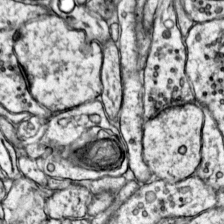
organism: Mouse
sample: Primary visual cortex